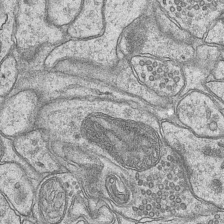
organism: Mouse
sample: CA1 Hippocampus